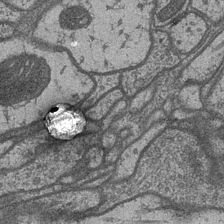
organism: Drosophila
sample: Optic medulla